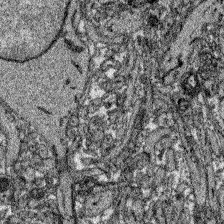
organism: Zebrafish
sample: Larval olfactory bulb